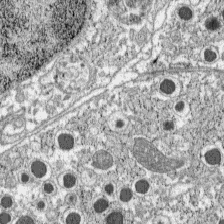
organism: C57BL Mouse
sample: Pancreatic islet